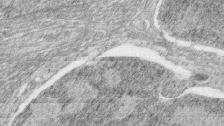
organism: Zebrafish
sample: synaptic ribbons in rod cells and cone cells